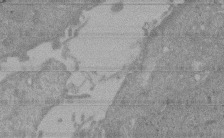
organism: Mouse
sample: ED-1 cell nuclei; centrioles